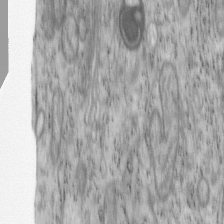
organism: Human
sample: HeLa cells